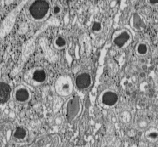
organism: C57BL Mouse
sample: Pancreatic islet